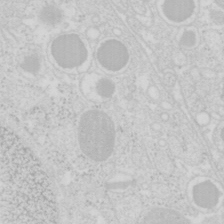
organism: Mouse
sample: Pancreas